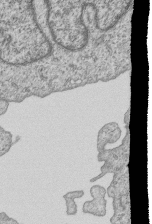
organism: Human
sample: MDA-MB-231 cells